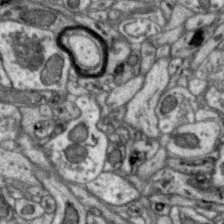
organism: Zebra finch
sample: Brain